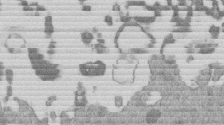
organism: Mouse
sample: Dividing mouse embryo 1 cell stage